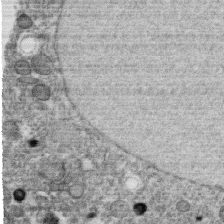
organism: C. elegans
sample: C. elegans oocyte; sperm cells